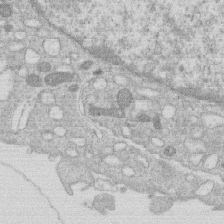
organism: Human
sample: Macrophage cells